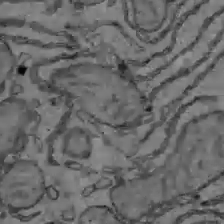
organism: C57BL Mouse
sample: Liver